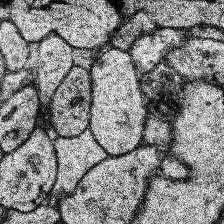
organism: Human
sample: Temporal Lobe